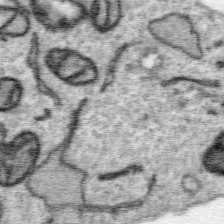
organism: Human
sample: HeLa cells